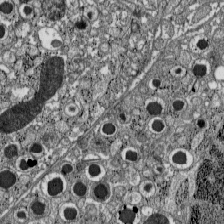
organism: C57BL Mouse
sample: Pancreatic islet